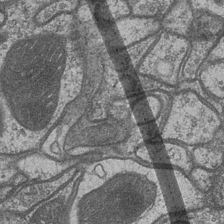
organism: Drosophila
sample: Optic medulla